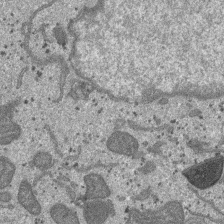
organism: Human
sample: Lung epithelial cells infected with SARS-CoV-2